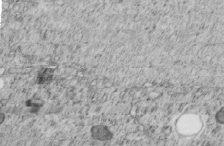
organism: C. elegans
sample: C. elegans embryo early stage